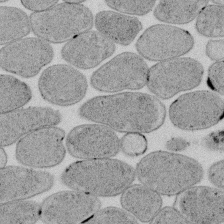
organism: E. coli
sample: Bacterial nucleoid